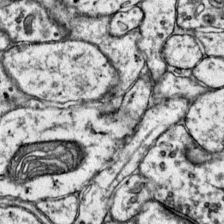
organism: Mouse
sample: Primary visual cortex